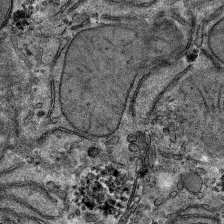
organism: Mouse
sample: Mouse hepatocytes